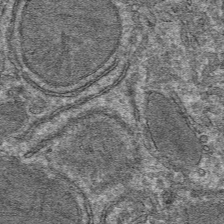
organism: Mouse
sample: Mouse hepatocytes